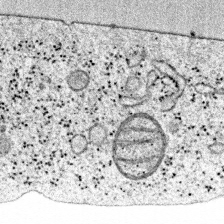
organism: Human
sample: HeLa cells